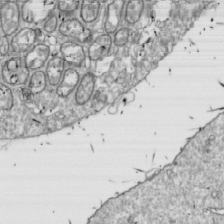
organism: Drosophila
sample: Cell division; meiosis; drosophila spermatocytes